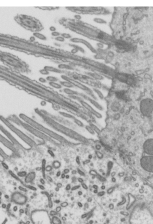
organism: Mouse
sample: Mouse epididymis efferent ductule cilia